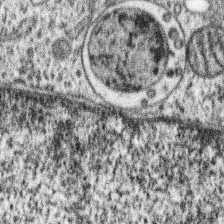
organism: Human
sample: HeLa cells